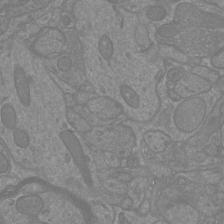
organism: Mouse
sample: Cortical neurons